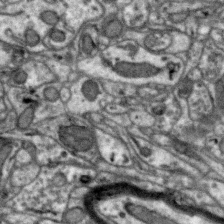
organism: Zebra finch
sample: Brain